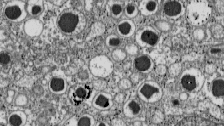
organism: C57BL Mouse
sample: Pancreatic islet